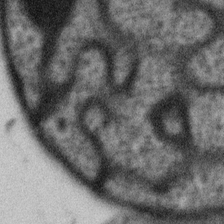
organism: Gemmata obscuriglobus